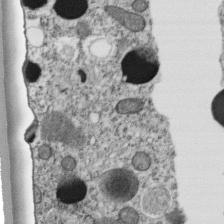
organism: C. elegans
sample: C. elegans embryo early stage